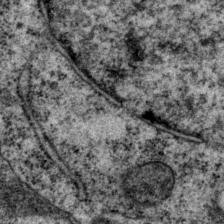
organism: P. pacificus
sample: Pharynx